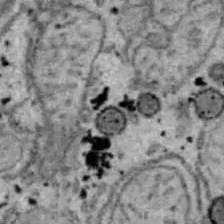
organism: Mouse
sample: Liver from an obese (ob/ob) mouse